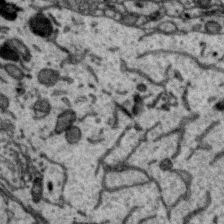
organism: Zebra finch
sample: Brain